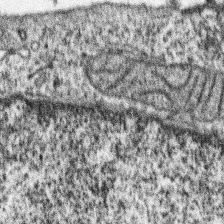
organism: Human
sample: HeLa cells